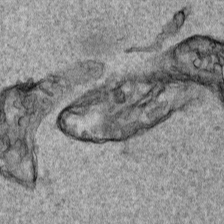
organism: Human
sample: Mitochondria in HCT116 cells